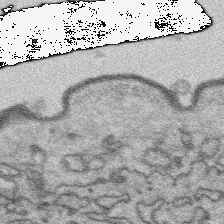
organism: Platynereis dumerilii